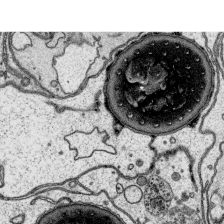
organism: Platynereis dumerilii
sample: Parapodia